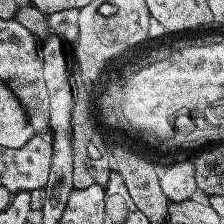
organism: Human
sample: Temporal Lobe